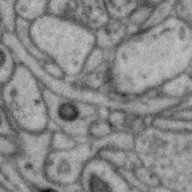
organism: Zebra finch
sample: Brain